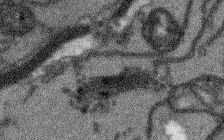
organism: Arabidopsis thaliana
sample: Root tip